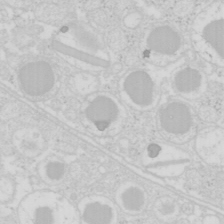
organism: Mouse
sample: Pancreas